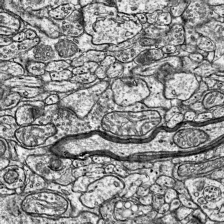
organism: Mouse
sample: Visual Cortex